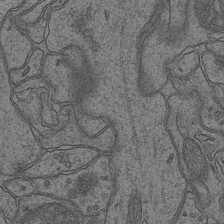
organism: Mouse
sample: CA1 Hippocampus